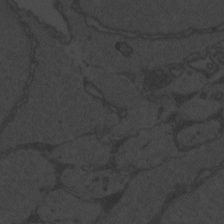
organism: Zebrafish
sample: Macrophage infected with Toxoplasma gondii